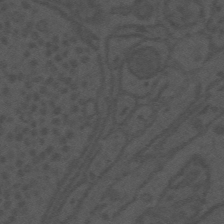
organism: Mouse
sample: Suprachiasmatic nucleus